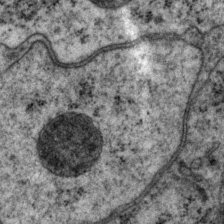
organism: P. pacificus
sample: Pharynx